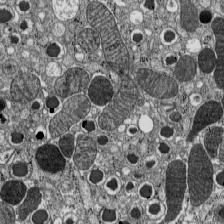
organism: C57BL Mouse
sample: Pancreatic islet